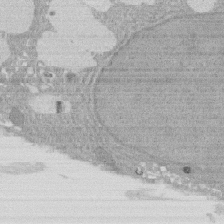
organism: Rat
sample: Salivary granule